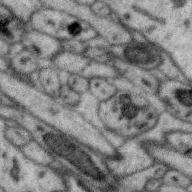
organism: Zebra finch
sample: Brain